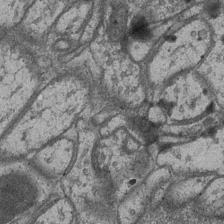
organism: Drosophila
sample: Optic medulla